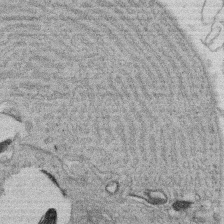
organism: Rat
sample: Salivary granule